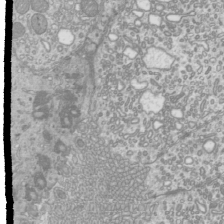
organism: Mouse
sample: Cilia; mouse epididymis